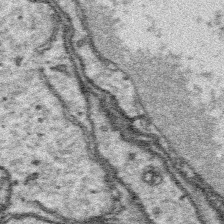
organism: Platynereis dumerilii